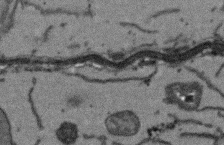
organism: Arabidopsis thaliana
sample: Root tip